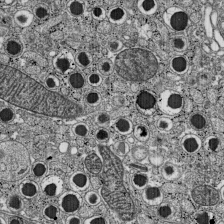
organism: C57BL Mouse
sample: Pancreatic islet